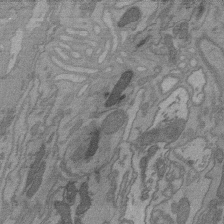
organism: C. elegans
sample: AFD neurons C. elegans